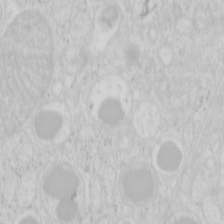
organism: Mouse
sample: Pancreas